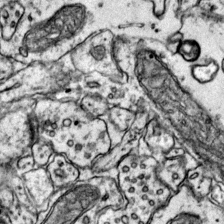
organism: Mouse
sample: Primary visual cortex